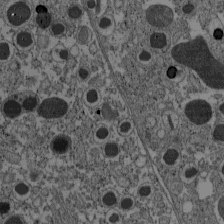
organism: C57BL Mouse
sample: Pancreatic islet